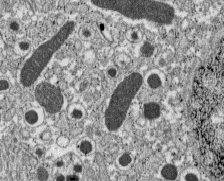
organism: C57BL Mouse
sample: Pancreatic islet